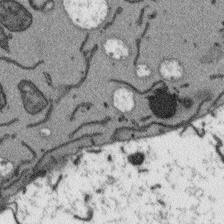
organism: Arabidopsis thaliana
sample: Root tip